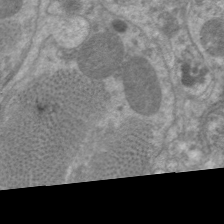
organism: C. elegans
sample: Pharynx